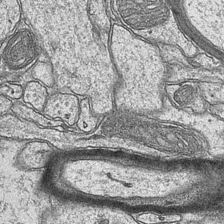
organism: Mouse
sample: CA1 Hippocampus